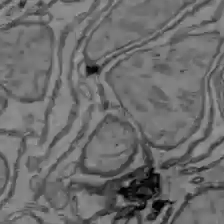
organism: C57BL Mouse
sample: Liver